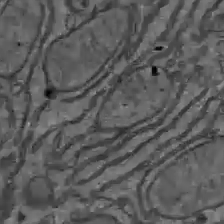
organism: C57BL Mouse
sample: Liver